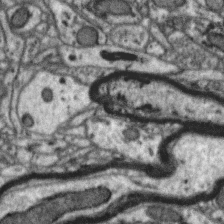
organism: Zebra finch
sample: Brain